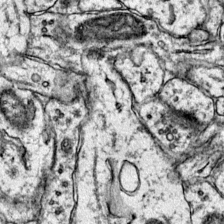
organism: Mouse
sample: Primary visual cortex